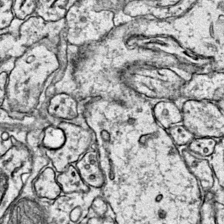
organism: Mouse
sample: Primary visual cortex